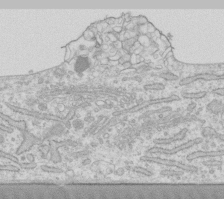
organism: Human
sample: Fibroblast cells